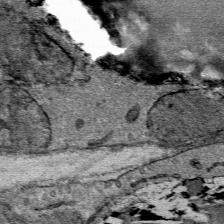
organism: Mouse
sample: Mouse Salivary gland